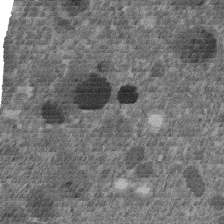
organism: C. elegans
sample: C. elegans embryo early stage